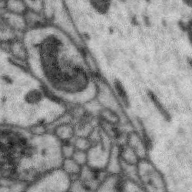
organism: Zebra finch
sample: Brain